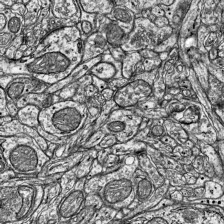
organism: Mouse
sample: Visual Cortex